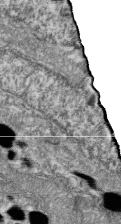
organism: Zebrafish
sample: Cilia; retinal pigment epithelium